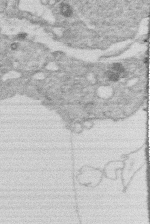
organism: Human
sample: Macrophage cells